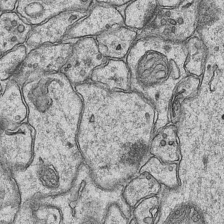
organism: Mouse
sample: CA1 Hippocampus